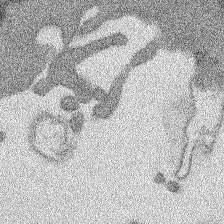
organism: Human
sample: HeLa cells